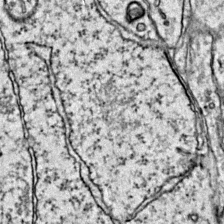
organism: Mouse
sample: Primary visual cortex